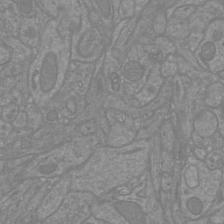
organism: Mouse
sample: Cortical neurons